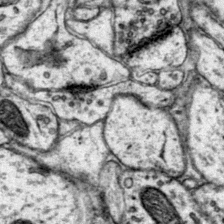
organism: Mouse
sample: Primary visual cortex